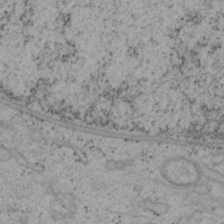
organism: Human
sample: HeLa cells